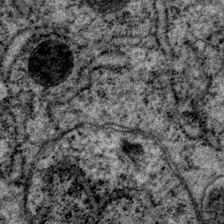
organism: P. pacificus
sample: Pharynx